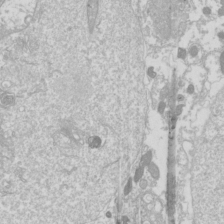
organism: Drosophila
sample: Cell division; meiosis; drosophila spermatocytes